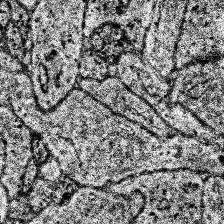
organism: Human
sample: Temporal Lobe